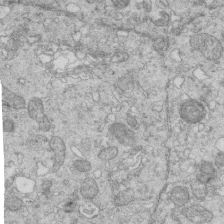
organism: Mouse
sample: Multiciliated cells